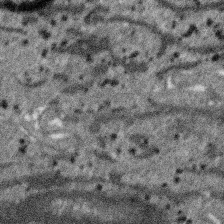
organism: Human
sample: Lung epithelial cells infected with SARS-CoV-2